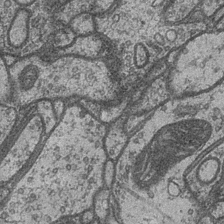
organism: Drosophila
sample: Optic medulla